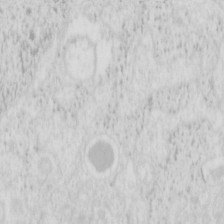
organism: Mouse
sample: Pancreas